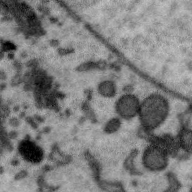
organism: Zebra finch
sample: Brain